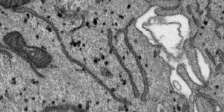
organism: Human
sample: Lung epithelial cells, uninfected (mock) control